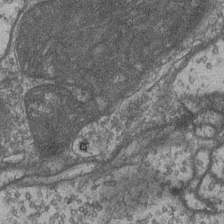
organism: Drosophila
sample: Optic medulla